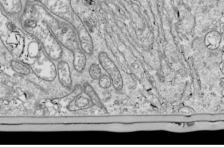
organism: Drosophila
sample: Cell division; meiosis; drosophila spermatocytes